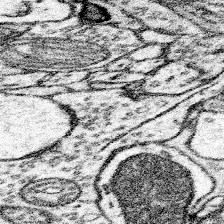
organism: Mouse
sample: Somatosensory cortex neuropil